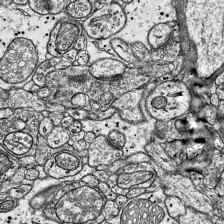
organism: Mouse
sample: Visual Cortex